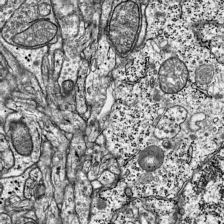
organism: Mouse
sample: Visual Cortex